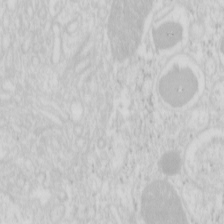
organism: Mouse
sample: Pancreas